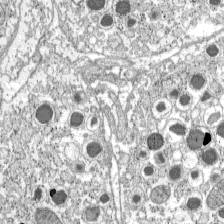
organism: C57BL Mouse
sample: Pancreatic islet